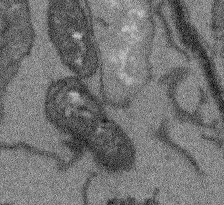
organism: Arabidopsis thaliana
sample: Root tip